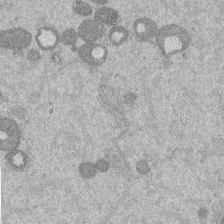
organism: Mouse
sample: Dividing mouse embryo 1 cell stage